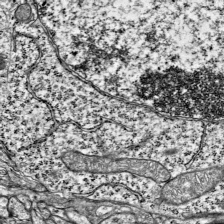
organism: Mouse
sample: Visual Cortex